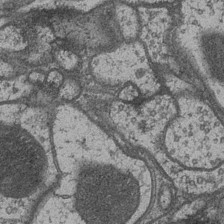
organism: Drosophila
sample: Optic medulla